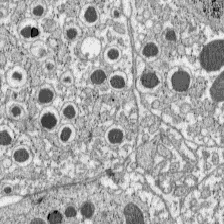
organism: C57BL Mouse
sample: Pancreatic islet